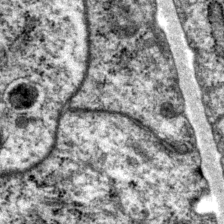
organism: P. pacificus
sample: Pharynx